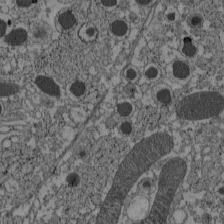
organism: C57BL Mouse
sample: Pancreatic islet